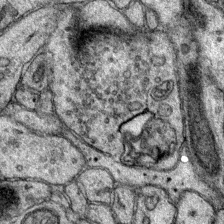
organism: Mouse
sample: Primary visual cortex